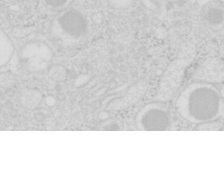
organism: Mouse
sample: Pancreas